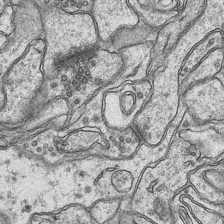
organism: Mouse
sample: CA1 Hippocampus